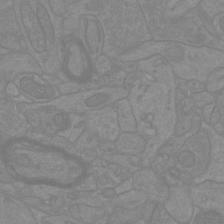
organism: Mouse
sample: Cortical neurons